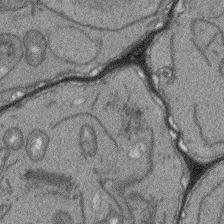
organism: Arabidopsis thaliana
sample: Root tip